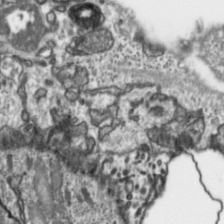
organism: Toxoplasma gondii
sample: Parasites in a vacuole inside a host cell